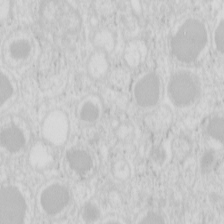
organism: Mouse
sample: Pancreas